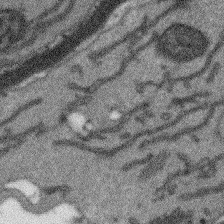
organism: Arabidopsis thaliana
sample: Root tip